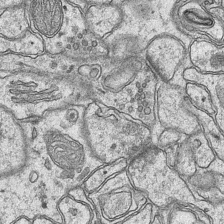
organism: Mouse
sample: CA1 Hippocampus